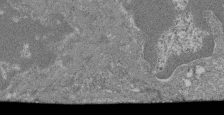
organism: Mouse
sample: Glomerulus